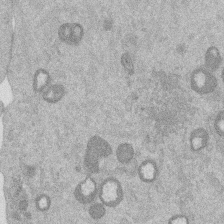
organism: Mouse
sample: Dividing mouse embryo 1 cell stage